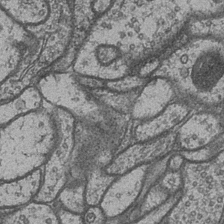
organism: Drosophila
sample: Optic medulla